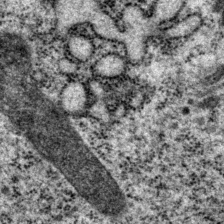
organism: P. pacificus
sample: Pharynx